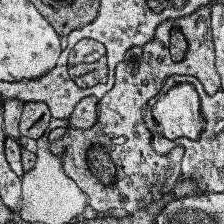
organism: Human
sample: Temporal Lobe